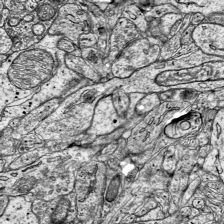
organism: Mouse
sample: Visual Cortex